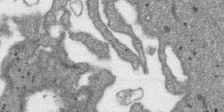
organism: Human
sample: Lung epithelial cells infected with SARS-CoV-2